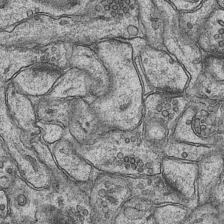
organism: Mouse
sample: CA1 Hippocampus